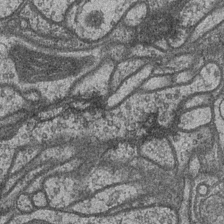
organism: Drosophila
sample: Optic medulla